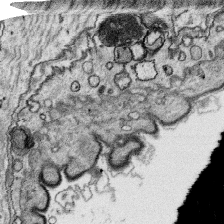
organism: Platynereis dumerilii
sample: Parapodia